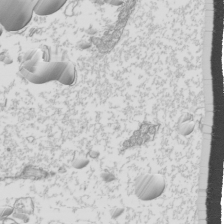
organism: Mouse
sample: Cilia; mouse epididymis